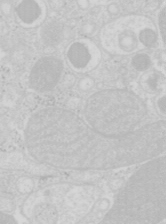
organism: Mouse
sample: Pancreas